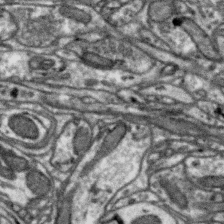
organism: Zebra finch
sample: Brain